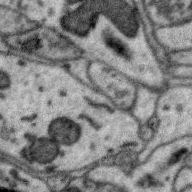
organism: Zebra finch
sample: Brain